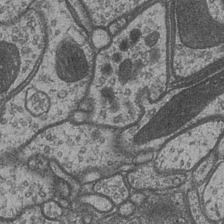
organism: Drosophila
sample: Optic medulla